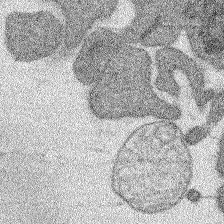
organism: Human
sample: HeLa cells